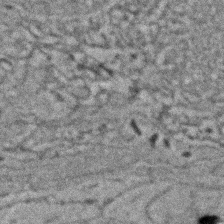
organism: Zebrafish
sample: Zebrafish embryo